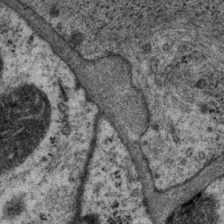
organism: P. pacificus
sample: Pharynx